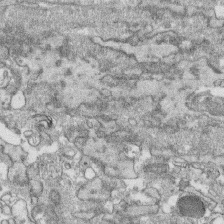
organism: Human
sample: CRL-1474